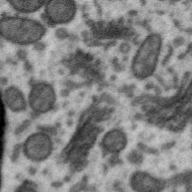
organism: Zebra finch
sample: Brain